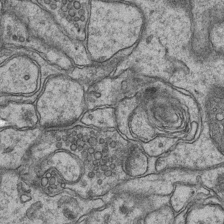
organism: Mouse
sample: CA1 Hippocampus